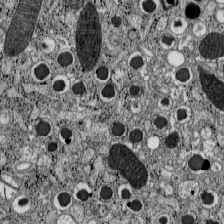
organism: C57BL Mouse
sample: Pancreatic islet